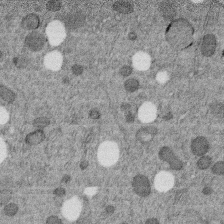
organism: C. elegans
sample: C. elegans embryo early stage